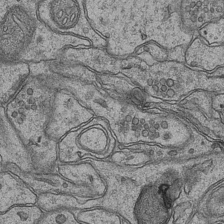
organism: Mouse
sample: CA1 Hippocampus